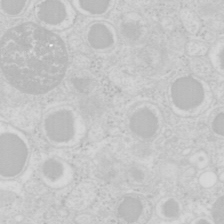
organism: Mouse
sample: Pancreas